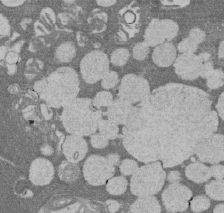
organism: Rat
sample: Salivary granule